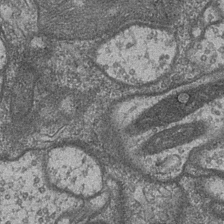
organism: Drosophila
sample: Optic medulla